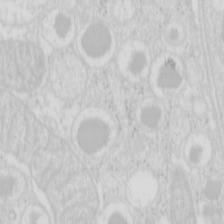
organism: Mouse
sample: Pancreas